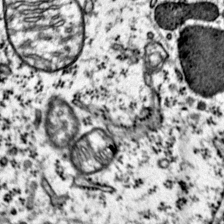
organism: Mouse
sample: Primary visual cortex